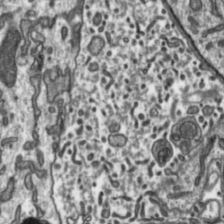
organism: Toxoplasma gondii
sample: Parasites in a vacuole inside a host cell